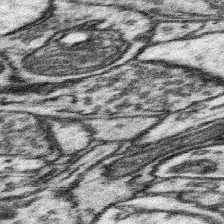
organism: Mouse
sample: Somatosensory cortex neuropil